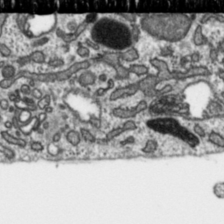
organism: Toxoplasma gondii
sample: Parasites in a vacuole inside a host cell